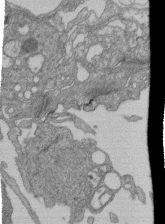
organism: Human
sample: Retinal organoid Rod and Cone cells